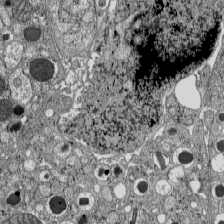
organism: C57BL Mouse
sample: Pancreatic islet